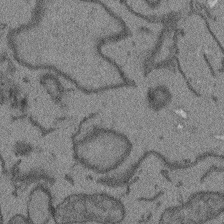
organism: Arabidopsis thaliana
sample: Root tip